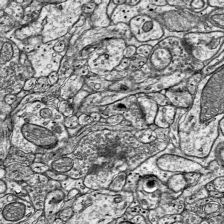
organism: Mouse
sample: Visual Cortex